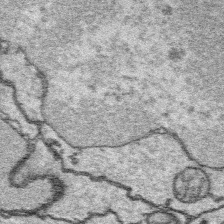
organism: Platynereis dumerilii